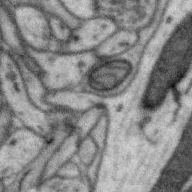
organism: Zebra finch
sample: Brain